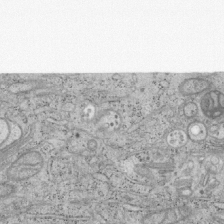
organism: Human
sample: HeLa cells